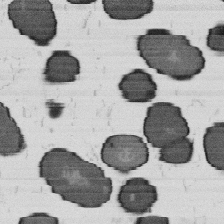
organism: B. subtilis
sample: Bacterial spore